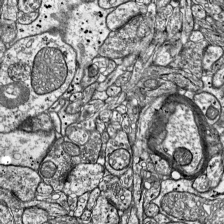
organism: Mouse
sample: Visual Cortex